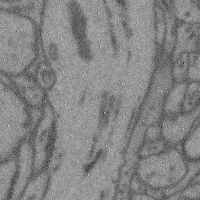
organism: Mouse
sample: Cerebral cortex